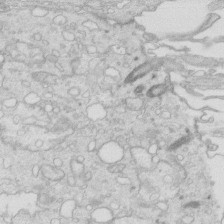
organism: Mouse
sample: Multiciliated cells